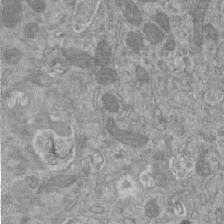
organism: Mouse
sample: ED-1 cell nuclei; centrioles